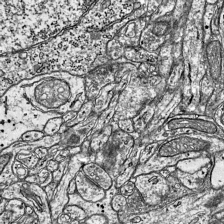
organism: Mouse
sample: Visual Cortex